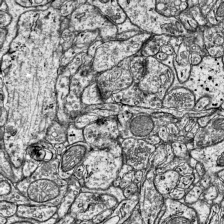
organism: Mouse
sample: Visual Cortex